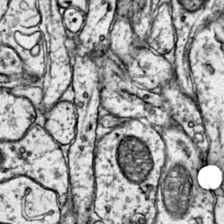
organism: Mouse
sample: Primary visual cortex